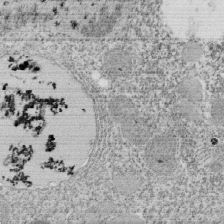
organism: Tetrahymena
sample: Cilia in tetrahymena